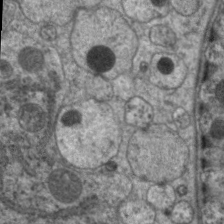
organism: C. elegans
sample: Pharynx